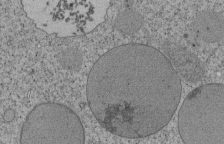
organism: Tetrahymena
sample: Cilia in tetrahymena